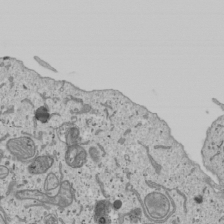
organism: Human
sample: Mitochondria in U2OS cells